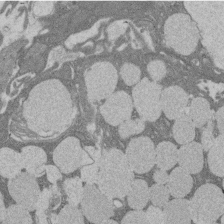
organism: Rat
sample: Salivary granule